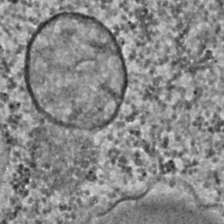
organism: C. elegans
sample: C. elegans embryo